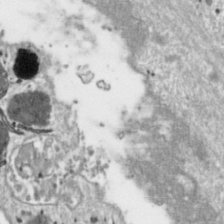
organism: Toxoplasma gondii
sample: Parasites in a vacuole inside a host cell